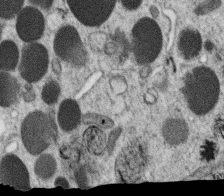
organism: C. elegans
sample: C. elegans oocyte; sperm cells